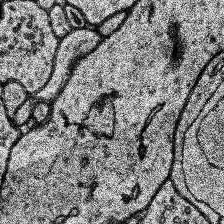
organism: Human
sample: Temporal Lobe